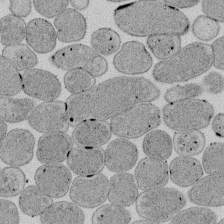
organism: E. coli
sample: Bacterial nucleoid